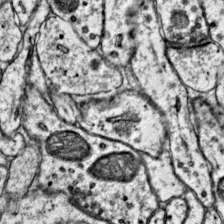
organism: Mouse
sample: Primary visual cortex